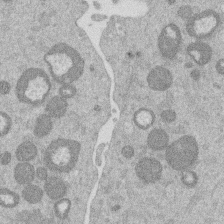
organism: Mouse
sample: Dividing mouse embryo 1 cell stage